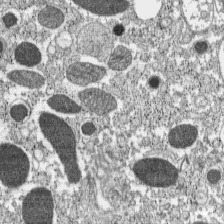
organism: C57BL Mouse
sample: Pancreatic islet